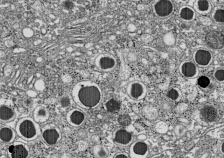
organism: C57BL Mouse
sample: Pancreatic islet